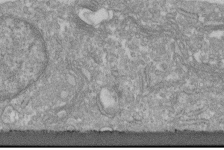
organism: Human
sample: Centriole in fibroblast cells